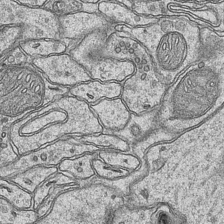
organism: Mouse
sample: CA1 Hippocampus